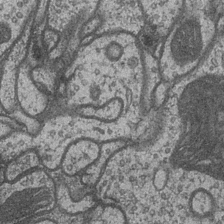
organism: Drosophila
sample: Optic medulla